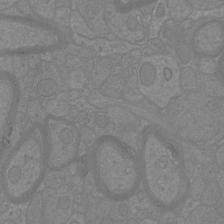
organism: Mouse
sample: Cortical neurons